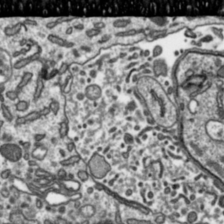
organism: Toxoplasma gondii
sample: Parasites in a vacuole inside a host cell